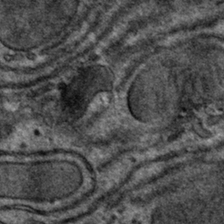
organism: Mouse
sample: Mouse hepatocytes